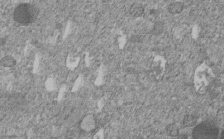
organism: C. elegans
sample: C. elegans embryo early stage